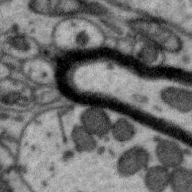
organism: Zebra finch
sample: Brain